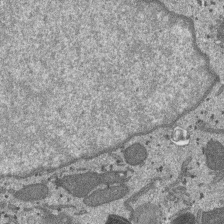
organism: Human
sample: Lung epithelial cells infected with SARS-CoV-2